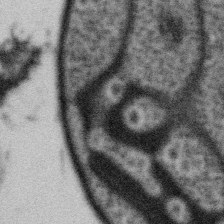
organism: Gemmata obscuriglobus